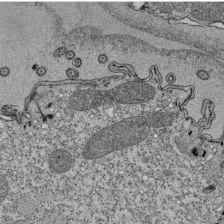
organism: Tetrahymena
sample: Cilia in tetrahymena